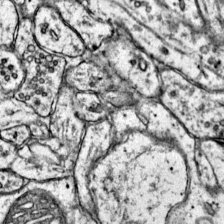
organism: Mouse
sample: Primary visual cortex